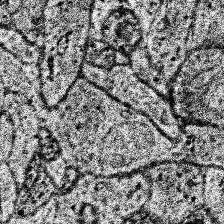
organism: Human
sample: Temporal Lobe